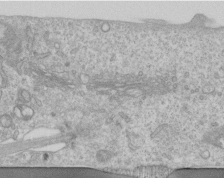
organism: Human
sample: Centriole in RPE cells